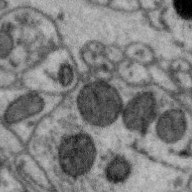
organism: Zebra finch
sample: Brain